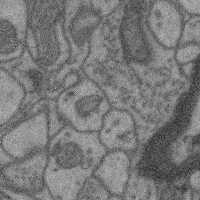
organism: Mouse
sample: Cerebral cortex